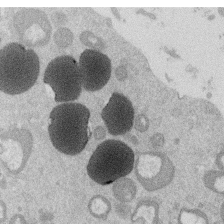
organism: Mouse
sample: Dividing mouse embryo 1 cell stage